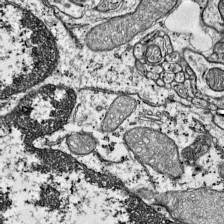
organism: Mouse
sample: Visual Cortex